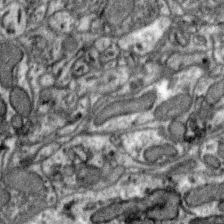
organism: Zebra finch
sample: Brain